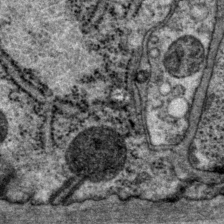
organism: P. pacificus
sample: Pharynx